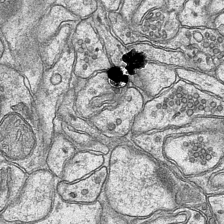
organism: Mouse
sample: CA1 Hippocampus